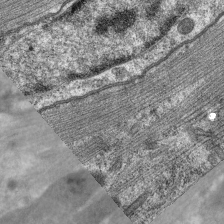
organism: C. elegans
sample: Pharynx